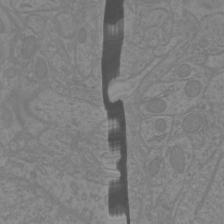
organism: Mouse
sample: Cortical neurons